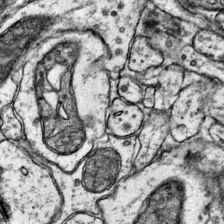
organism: Mouse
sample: Primary visual cortex